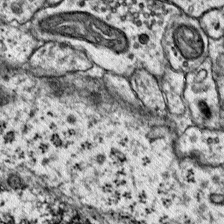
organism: Mouse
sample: Primary visual cortex